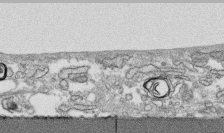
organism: Human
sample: CRL-1474